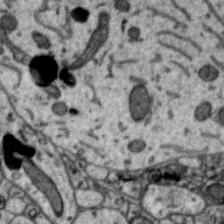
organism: Zebra finch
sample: Brain